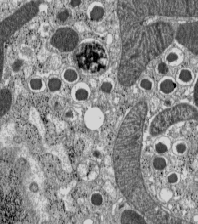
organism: C57BL Mouse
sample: Pancreatic islet